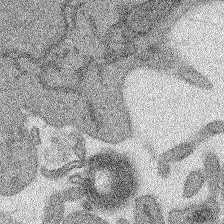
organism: Human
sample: HeLa cells